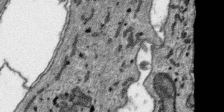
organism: Human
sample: Lung epithelial cells, uninfected (mock) control